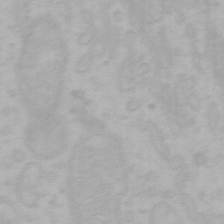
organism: Mouse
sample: Choroid plexus